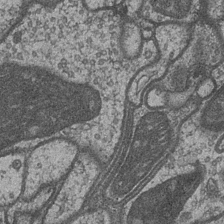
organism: Drosophila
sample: Optic medulla